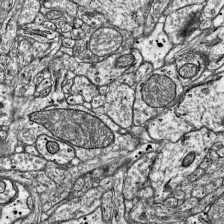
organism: Mouse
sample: Visual Cortex